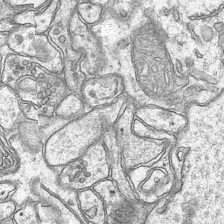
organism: Mouse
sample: CA1 Hippocampus